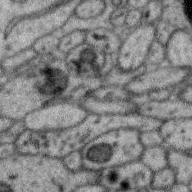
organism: Zebra finch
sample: Brain